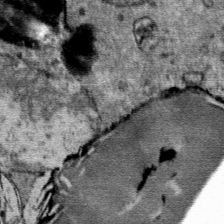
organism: Mouse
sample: Mouse Salivary gland